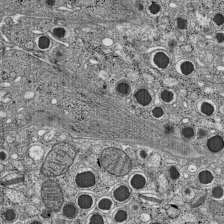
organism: C57BL Mouse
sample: Pancreatic islet